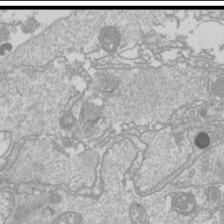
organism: Drosophila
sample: Cell division; meiosis; drosophila spermatocytes